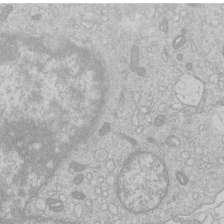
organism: Human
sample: Macrophage cells